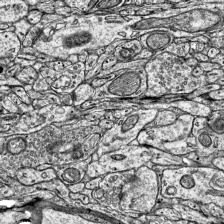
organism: Mouse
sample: Visual Cortex